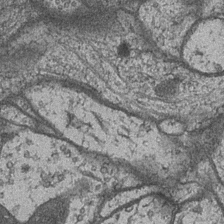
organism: Drosophila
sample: Optic medulla